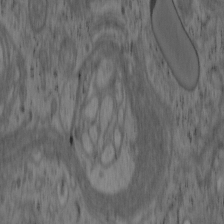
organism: Human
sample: HeLa cells